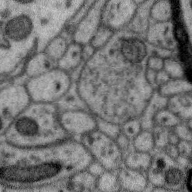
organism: Zebra finch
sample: Brain